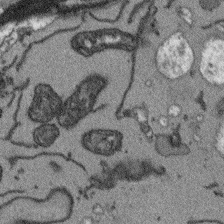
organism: Arabidopsis thaliana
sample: Root tip